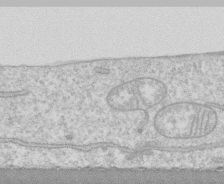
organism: Human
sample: CRL-1474